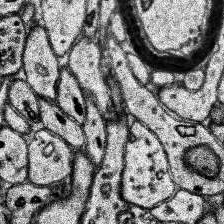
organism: Human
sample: Temporal Lobe